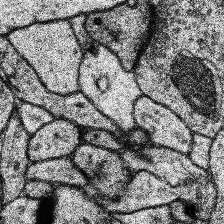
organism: Human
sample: Temporal Lobe